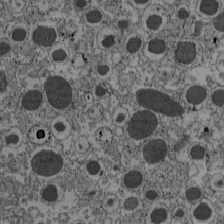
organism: C57BL Mouse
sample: Pancreatic islet